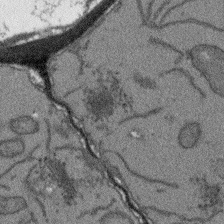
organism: Arabidopsis thaliana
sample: Root tip